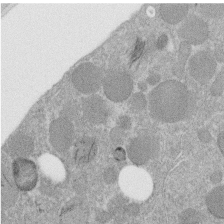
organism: C. elegans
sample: C. elegans embryo early stage